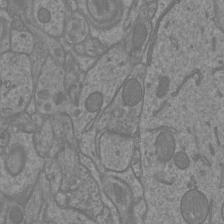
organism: Mouse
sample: Cortical neurons